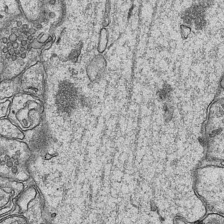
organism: Mouse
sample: CA1 Hippocampus